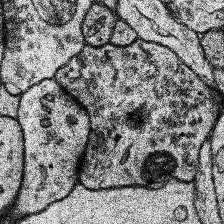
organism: Human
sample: Temporal Lobe